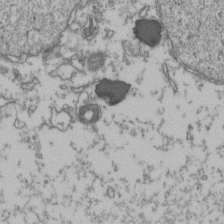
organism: Human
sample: Activated Jurkat CD4+ T cells